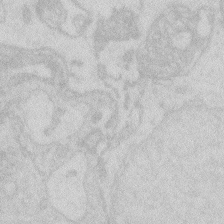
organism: Zebrafish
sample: Macrophage